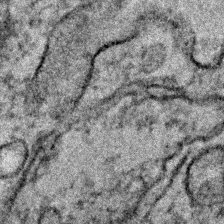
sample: Trachea